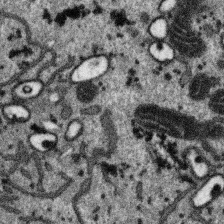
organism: Human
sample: Lung epithelial cells infected with SARS-CoV-2